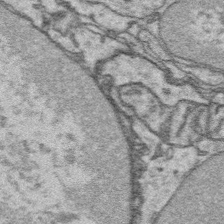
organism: Platynereis dumerilii